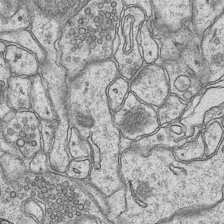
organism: Mouse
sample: CA1 Hippocampus